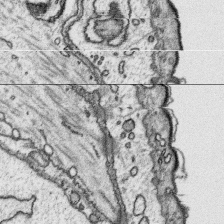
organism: Platynereis dumerilii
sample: Parapodia